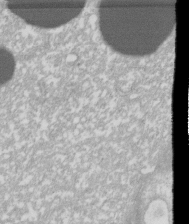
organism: Xenopus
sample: Cilia; centrioles in frog embryo cells